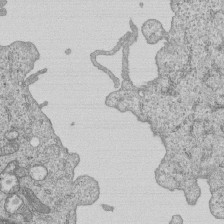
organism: Human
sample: MDA-MB-231 cells